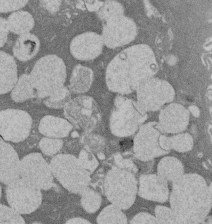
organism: Rat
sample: Salivary granule